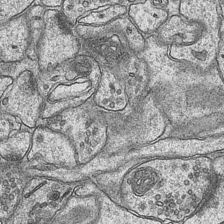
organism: Mouse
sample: CA1 Hippocampus